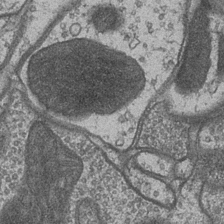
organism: Drosophila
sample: Optic medulla